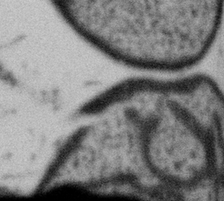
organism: Gemmata obscuriglobus